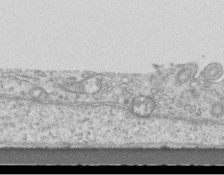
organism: Mouse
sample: Centriole in ependymal cells